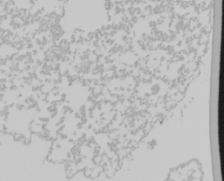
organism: Mouse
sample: Cancer cell death in ED-1 cells